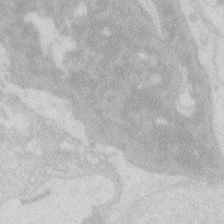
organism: Zebrafish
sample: Macrophage